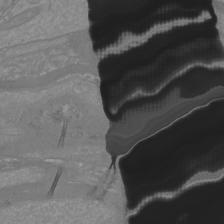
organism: Mouse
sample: Cortical neurons